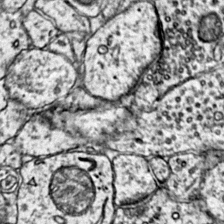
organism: Mouse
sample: Primary visual cortex